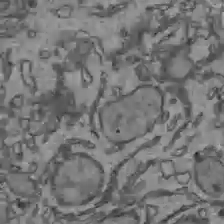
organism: C57BL Mouse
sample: Liver